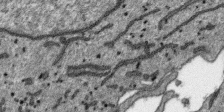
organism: Human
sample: Lung epithelial cells, uninfected (mock) control